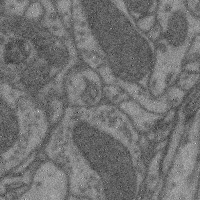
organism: Mouse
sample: Cerebral cortex